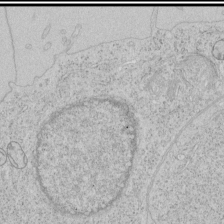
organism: Human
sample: Mitochondria in HCT116 cells